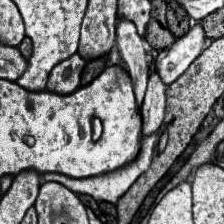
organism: Human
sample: Temporal Lobe